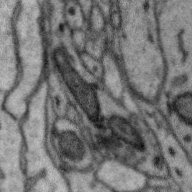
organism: Zebra finch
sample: Brain